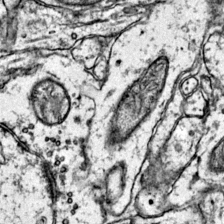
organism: Mouse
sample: Primary visual cortex